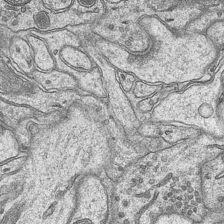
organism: Mouse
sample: CA1 Hippocampus